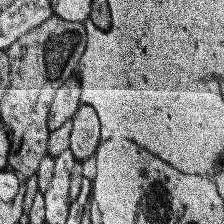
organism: Human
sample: Temporal Lobe